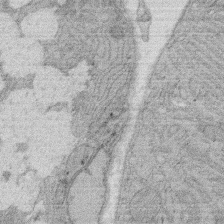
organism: Rat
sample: Salivary granule